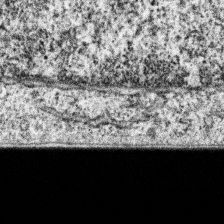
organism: Human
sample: HeLa cells